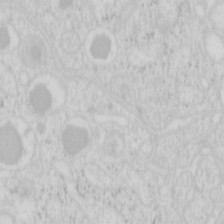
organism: Mouse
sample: Pancreas